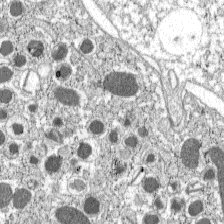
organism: C57BL Mouse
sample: Pancreatic islet